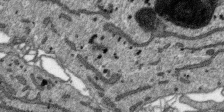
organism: Human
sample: Lung epithelial cells, uninfected (mock) control